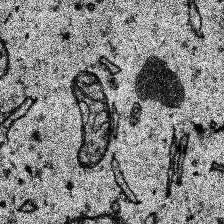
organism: Human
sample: Temporal Lobe